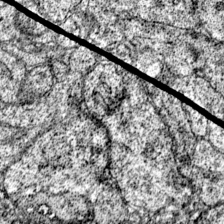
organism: Mouse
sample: Primary visual cortex